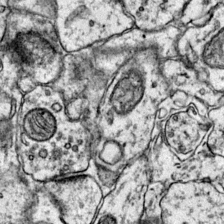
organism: Mouse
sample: Primary visual cortex